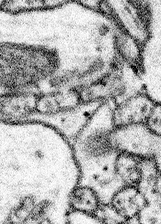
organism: Mouse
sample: Somatosensory cortex neuropil